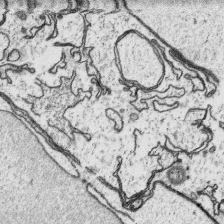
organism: Platynereis dumerilii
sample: Parapodia